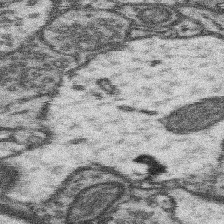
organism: Mouse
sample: Somatosensory cortex neuropil